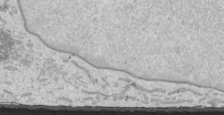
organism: Human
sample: Mitochondria in HCT116 cells